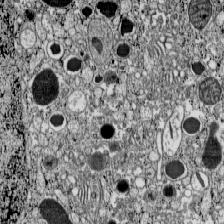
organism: C57BL Mouse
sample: Pancreatic islet